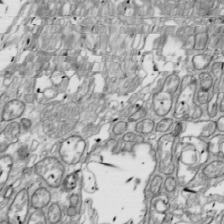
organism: Drosophila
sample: Cell division; meiosis; drosophila spermatocytes